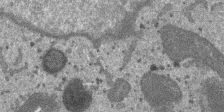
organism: Human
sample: Lung epithelial cells infected with SARS-CoV-2